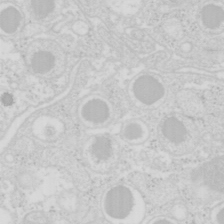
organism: Mouse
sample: Pancreas